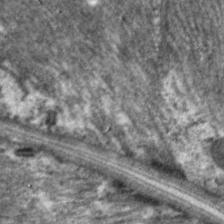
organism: C. elegans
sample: Pharynx